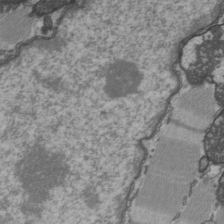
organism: C57BL Mouse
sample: Heart